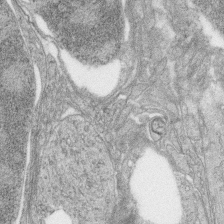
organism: Zebrafish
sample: synaptic ribbons in rod cells and cone cells